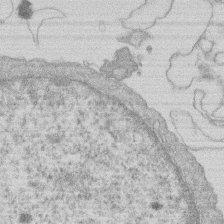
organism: Human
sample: Macrophage cells